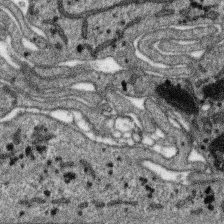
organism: Human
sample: Lung epithelial cells infected with SARS-CoV-2